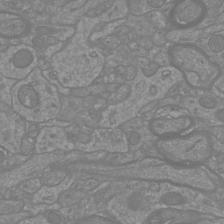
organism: Mouse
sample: Cortical neurons